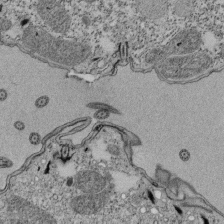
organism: Tetrahymena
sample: Cilia in tetrahymena